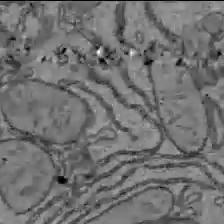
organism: C57BL Mouse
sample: Liver